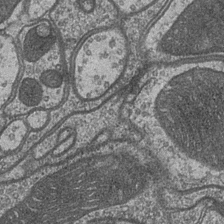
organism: Drosophila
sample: Optic medulla